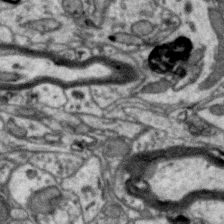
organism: Zebra finch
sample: Brain